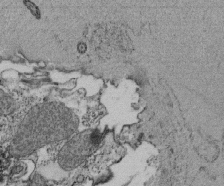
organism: Tetrahymena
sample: Cilia in tetrahymena